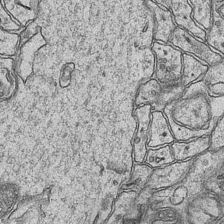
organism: Mouse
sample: CA1 Hippocampus